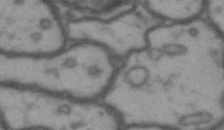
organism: Drosophila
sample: Brain